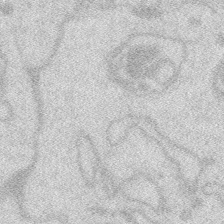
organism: Zebrafish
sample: Macrophage